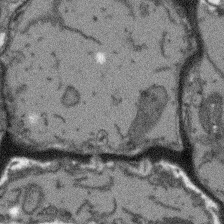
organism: Arabidopsis thaliana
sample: Root tip